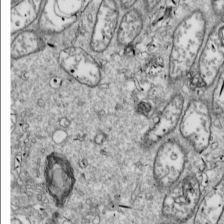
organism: Drosophila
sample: Cell division; meiosis; drosophila spermatocytes